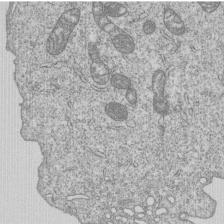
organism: Human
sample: MDA-MB-231 cells